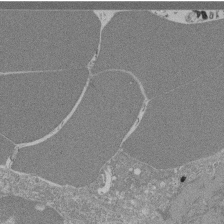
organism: Mouse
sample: Glomerulus